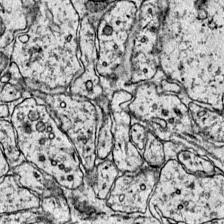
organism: Mouse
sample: Primary visual cortex